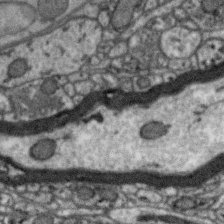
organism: Zebra finch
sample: Brain